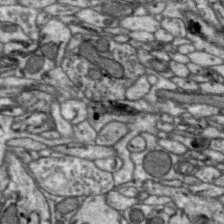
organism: Zebra finch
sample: Brain